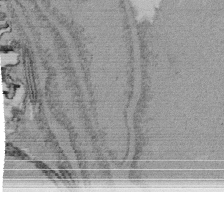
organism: Tetrahymena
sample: Cilia in tetrahymena